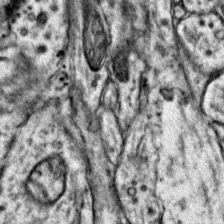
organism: Mouse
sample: Primary visual cortex